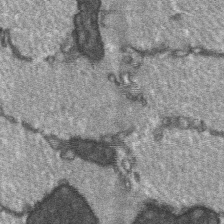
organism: C57BL Mouse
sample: Soleus